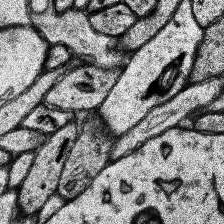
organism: Human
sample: Temporal Lobe